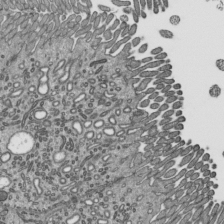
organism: Mouse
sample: Mouse epididymis efferent ductule cilia